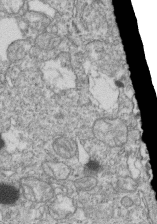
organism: Human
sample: HeLa cell HIV synapse